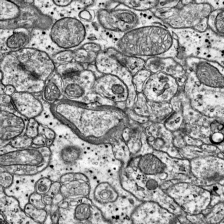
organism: Mouse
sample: Visual Cortex